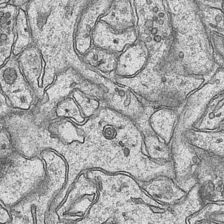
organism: Mouse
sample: CA1 Hippocampus